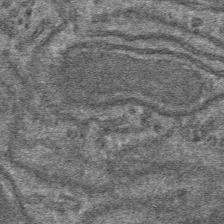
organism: Mouse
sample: Mouse hepatocytes